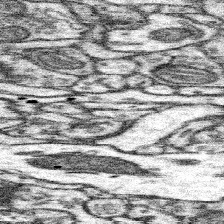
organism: Mouse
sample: Somatosensory cortex neuropil